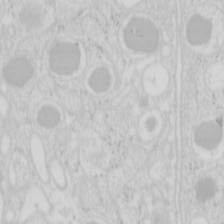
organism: Mouse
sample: Pancreas